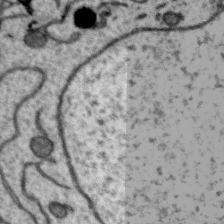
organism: Zebra finch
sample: Brain